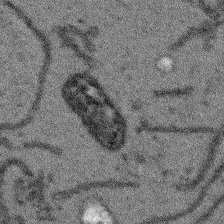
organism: Arabidopsis thaliana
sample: Root tip